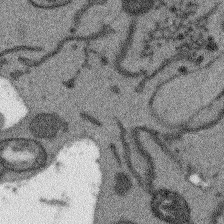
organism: Arabidopsis thaliana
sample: Root tip